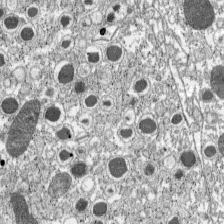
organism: C57BL Mouse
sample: Pancreatic islet